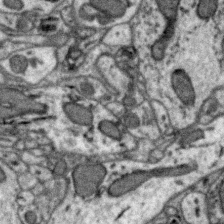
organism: Zebra finch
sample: Brain